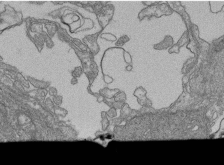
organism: Human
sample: Retinal organoid Rod and Cone cells